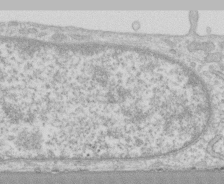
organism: Human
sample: CRL-1474